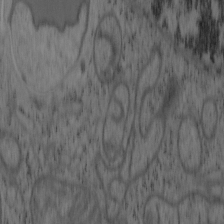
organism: Human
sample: HeLa cells